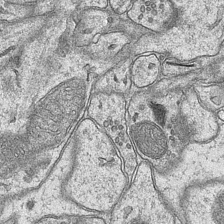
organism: Mouse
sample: CA1 Hippocampus